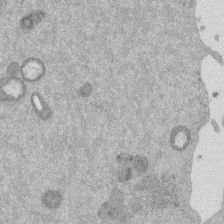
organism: Mouse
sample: Dividing mouse embryo 1 cell stage